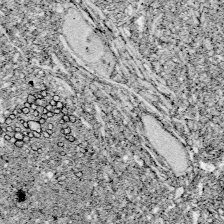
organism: Zebrafish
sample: Whole-Brain